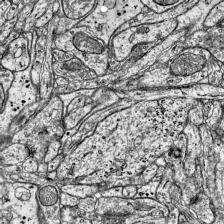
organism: Mouse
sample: Visual Cortex